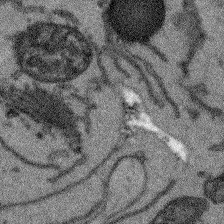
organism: Arabidopsis thaliana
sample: Root tip